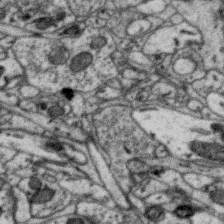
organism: Zebra finch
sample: Brain